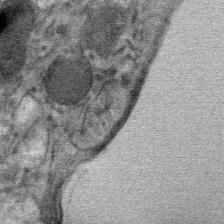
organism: Mouse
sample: Mouse hepatocytes